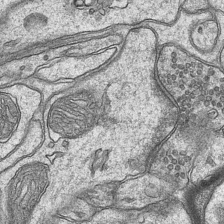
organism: Mouse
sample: CA1 Hippocampus